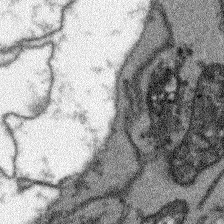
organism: Arabidopsis thaliana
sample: Root tip